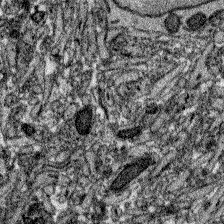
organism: Zebrafish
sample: Larval olfactory bulb